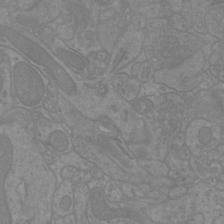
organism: Mouse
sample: Cortical neurons